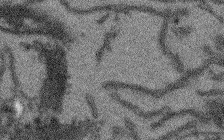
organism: Arabidopsis thaliana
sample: Root tip